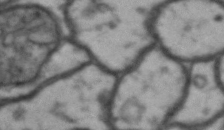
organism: Drosophila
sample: Brain